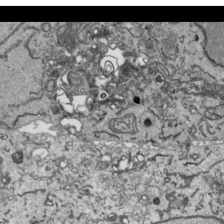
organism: Human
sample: Mitochondria in HCT116 cells